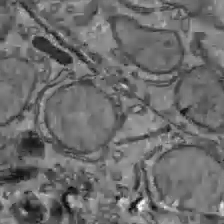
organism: C57BL Mouse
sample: Liver